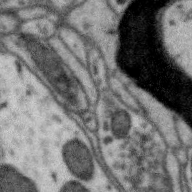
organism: Zebra finch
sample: Brain